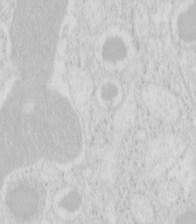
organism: Mouse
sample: Pancreas